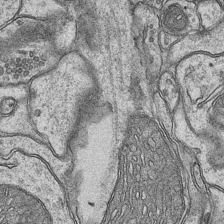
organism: Mouse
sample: CA1 Hippocampus